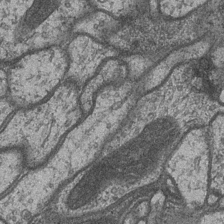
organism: Drosophila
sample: Optic medulla